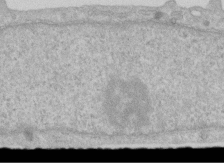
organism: Human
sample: Centriole in RPE cells